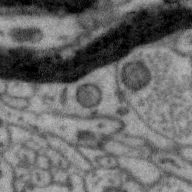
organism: Zebra finch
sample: Brain